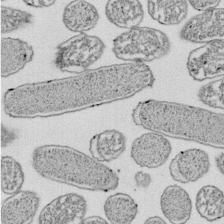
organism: E. coli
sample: Bacterial nucleoid